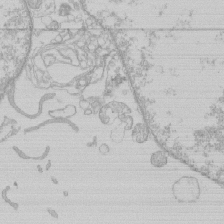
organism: Human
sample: Macrophage cells